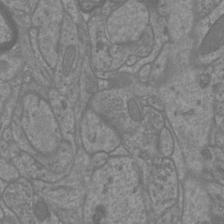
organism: Mouse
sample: Cortical neurons